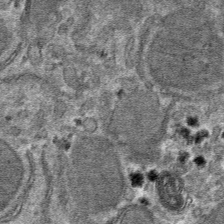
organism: Mouse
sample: Mouse hepatocytes